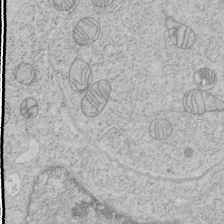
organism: Human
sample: Mitochondria in HCT116 cells